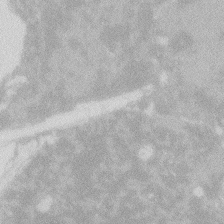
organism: Zebrafish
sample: Macrophage